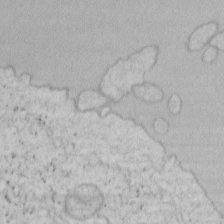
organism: Human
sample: HeLa cells